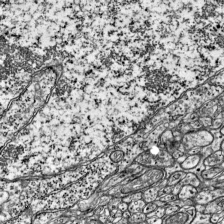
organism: Mouse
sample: Visual Cortex